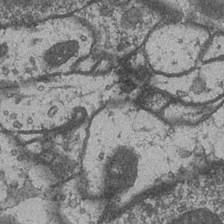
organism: Drosophila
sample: Optic medulla